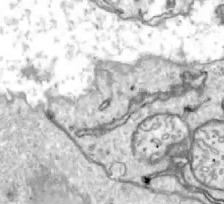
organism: Zebrafish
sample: Actinotrichia fibers